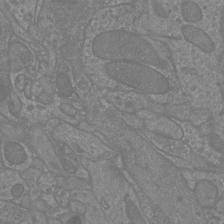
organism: Mouse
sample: Cortical neurons